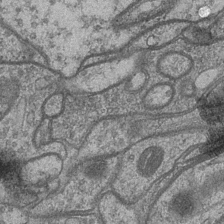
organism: Drosophila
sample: Optic medulla